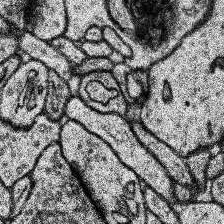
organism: Human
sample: Temporal Lobe